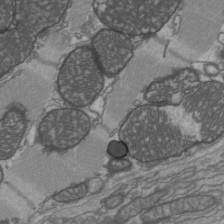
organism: C57BL Mouse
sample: Heart